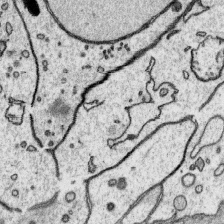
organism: Platynereis dumerilii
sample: Parapodia